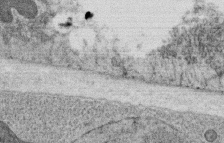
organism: C. elegans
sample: C. elegans oocyte; sperm cells